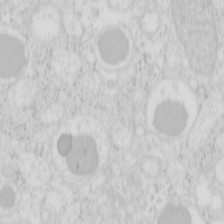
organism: Mouse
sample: Pancreas